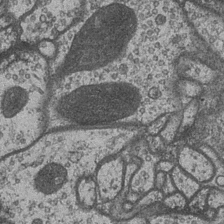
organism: Drosophila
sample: Optic medulla